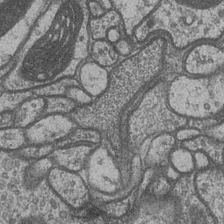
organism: Drosophila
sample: Optic medulla